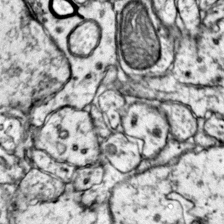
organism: Mouse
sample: Primary visual cortex